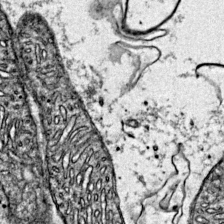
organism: Mouse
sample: Primary visual cortex